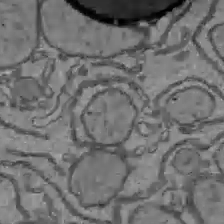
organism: C57BL Mouse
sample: Liver